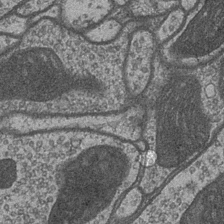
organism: Drosophila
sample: Optic medulla